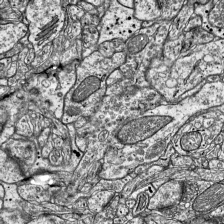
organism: Mouse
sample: Visual Cortex